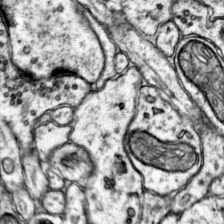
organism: Mouse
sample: Primary visual cortex